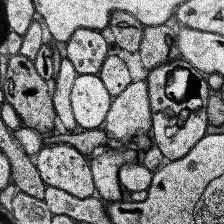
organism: Human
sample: Temporal Lobe